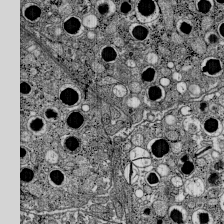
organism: C57BL Mouse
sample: Pancreatic islet